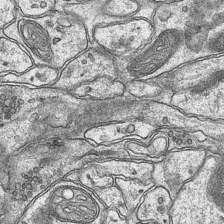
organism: Mouse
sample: CA1 Hippocampus